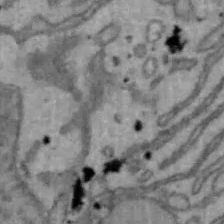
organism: Mouse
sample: Liver